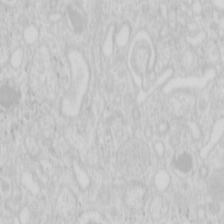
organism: Mouse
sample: Pancreas